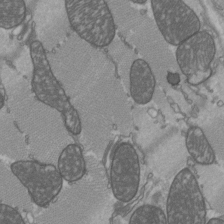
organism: C57BL Mouse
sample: Heart